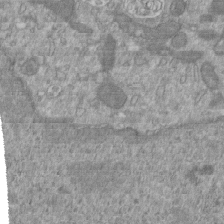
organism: Mouse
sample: ED-1 cell nuclei; centrioles